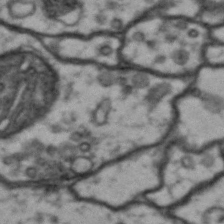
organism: Drosophila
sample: Brain